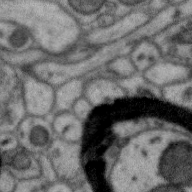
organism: Zebra finch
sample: Brain